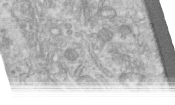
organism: Human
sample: Centriole in RPE cells